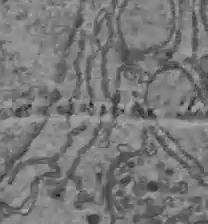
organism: C57BL Mouse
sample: Liver